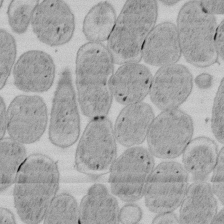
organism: E. coli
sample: Bacterial nucleoid